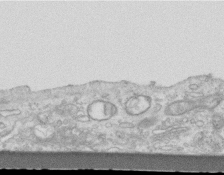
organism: Mouse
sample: Centriole in ependymal cells